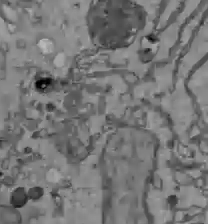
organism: C57BL Mouse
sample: Liver